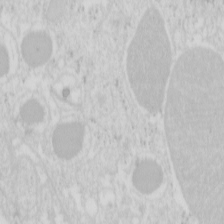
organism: Mouse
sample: Pancreas